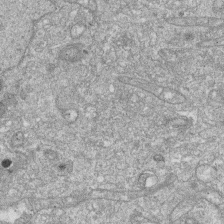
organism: Human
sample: HeLa cell HIV synapse